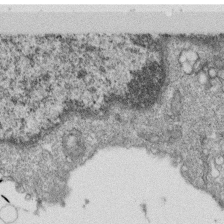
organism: African green monkey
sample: Vero E6 cells infected with SARS-CoV-2